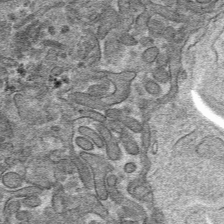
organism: Mouse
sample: Mouse hepatocytes